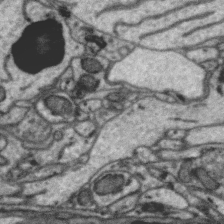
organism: Zebra finch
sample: Brain